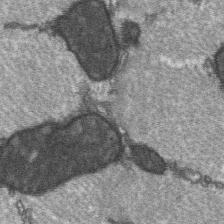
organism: C57BL Mouse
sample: Soleus